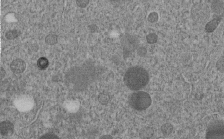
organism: C. elegans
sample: C. elegans embryo early stage